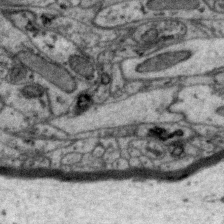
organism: Zebra finch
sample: Brain